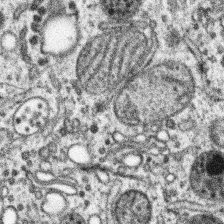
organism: Human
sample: HeLa cells